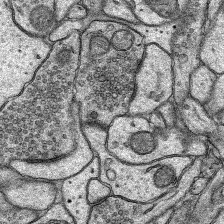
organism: Rat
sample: Hippocampus